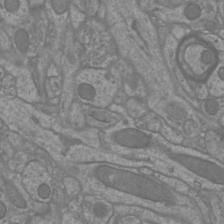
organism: Mouse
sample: Cortical neurons